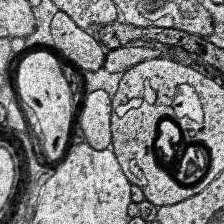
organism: Human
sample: Temporal Lobe